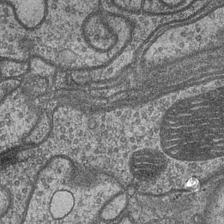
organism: Drosophila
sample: Optic medulla